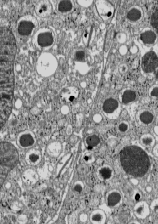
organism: C57BL Mouse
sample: Pancreatic islet